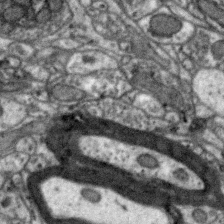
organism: Zebra finch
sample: Brain